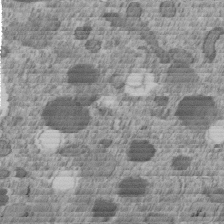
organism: C. elegans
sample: C. elegans embryo early stage